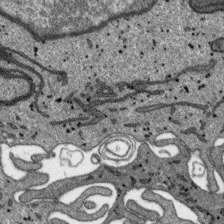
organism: Human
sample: Lung epithelial cells, uninfected (mock) control